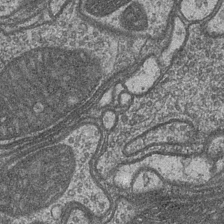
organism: Drosophila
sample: Optic medulla